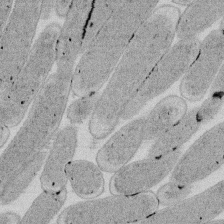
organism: E. coli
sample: Bacterial nucleoid